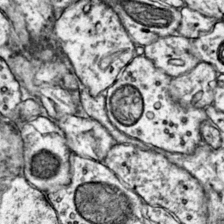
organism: Mouse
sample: Primary visual cortex